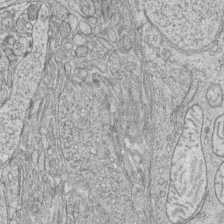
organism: Zebrafish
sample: synaptic ribbons in rod cells and cone cells